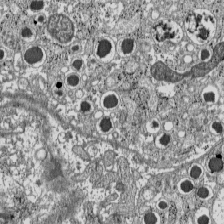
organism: C57BL Mouse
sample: Pancreatic islet